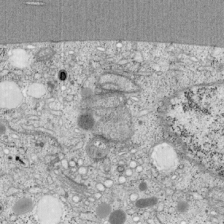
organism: African green monkey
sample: COS-7 cells